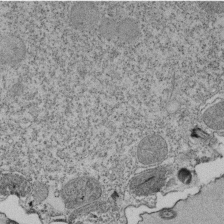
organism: Tetrahymena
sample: Cilia in tetrahymena